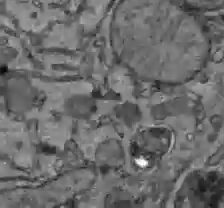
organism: C57BL Mouse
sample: Liver